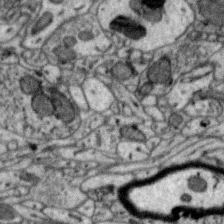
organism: Zebra finch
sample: Brain